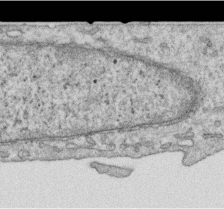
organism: Human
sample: Centriole in RPE cells